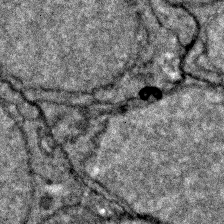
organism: Zebrafish